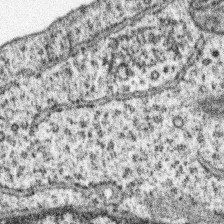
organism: Human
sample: HeLa cells